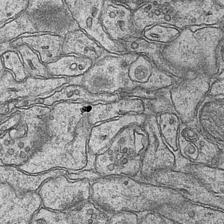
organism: Mouse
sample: CA1 Hippocampus